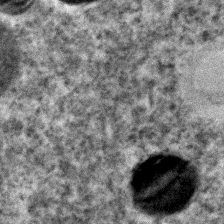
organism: C. elegans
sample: C. elegans embryo